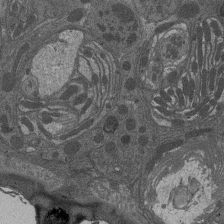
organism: Drosophila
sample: Antenna